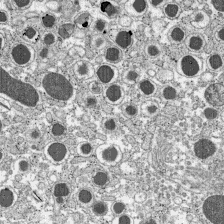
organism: C57BL Mouse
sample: Pancreatic islet